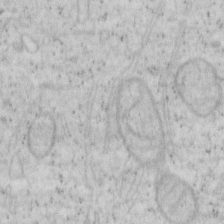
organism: Human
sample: HeLa cells